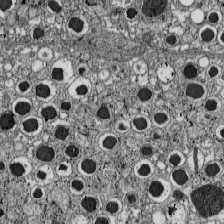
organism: C57BL Mouse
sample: Pancreatic islet